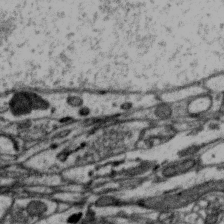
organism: Zebra finch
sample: Brain